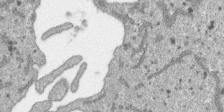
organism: Human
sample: Lung epithelial cells infected with SARS-CoV-2